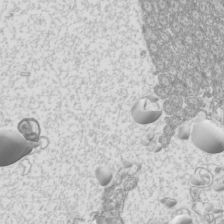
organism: Mouse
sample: Cilia; mouse epididymis